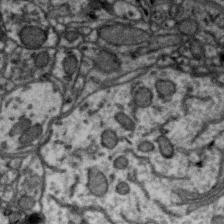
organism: Zebra finch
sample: Brain